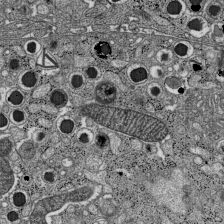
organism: C57BL Mouse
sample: Pancreatic islet